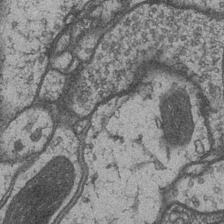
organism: Drosophila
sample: Optic medulla